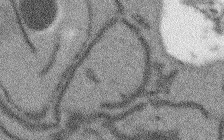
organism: Arabidopsis thaliana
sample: Root tip